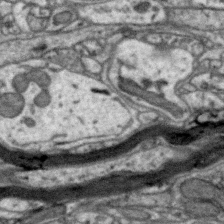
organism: Zebra finch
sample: Brain